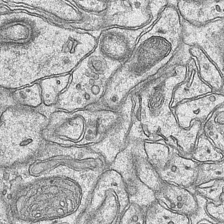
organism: Mouse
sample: CA1 Hippocampus